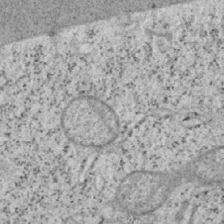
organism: Mouse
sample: OT-I killer T cells with ID8 ovarian cancer cells